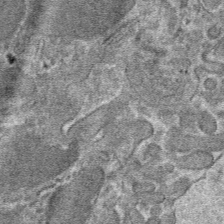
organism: Mouse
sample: Mouse hepatocytes